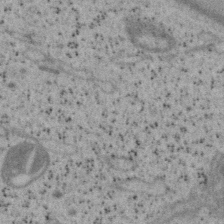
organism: Human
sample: HeLa cells